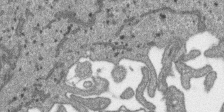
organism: Human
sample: Lung epithelial cells infected with SARS-CoV-2